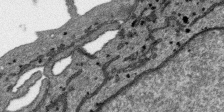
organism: Human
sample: Lung epithelial cells, uninfected (mock) control